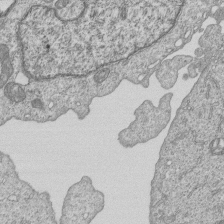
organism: Human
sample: MDA-MB-231 cells